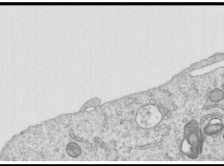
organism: Human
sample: Centriole in RPE cells